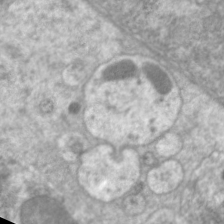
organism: C. elegans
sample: Pharynx